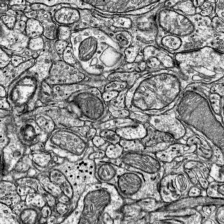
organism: Mouse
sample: Visual Cortex